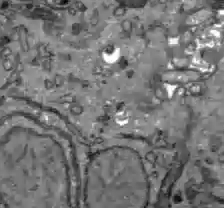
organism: C57BL Mouse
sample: Liver